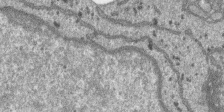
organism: Human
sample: Lung epithelial cells infected with SARS-CoV-2